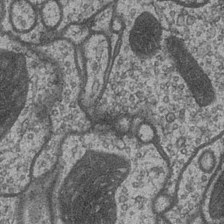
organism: Drosophila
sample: Optic medulla